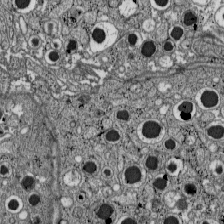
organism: C57BL Mouse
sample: Pancreatic islet